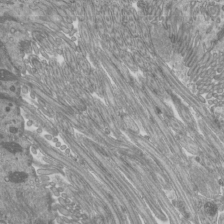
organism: Mouse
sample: Cilia; mouse epididymis